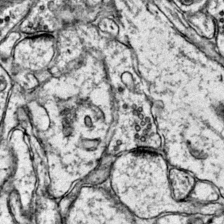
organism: Mouse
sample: Primary visual cortex